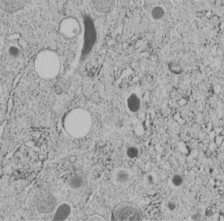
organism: C. elegans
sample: C. elegans embryo early stage